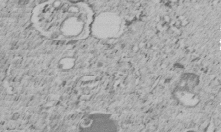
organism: C. elegans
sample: C. elegans embryo early stage